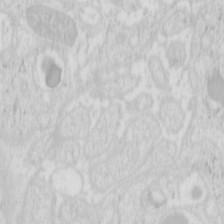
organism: Mouse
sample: Pancreas